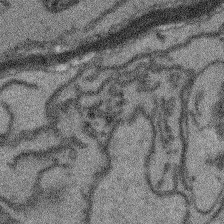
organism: Arabidopsis thaliana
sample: Root tip